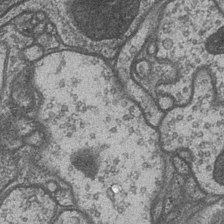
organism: Drosophila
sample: Optic medulla